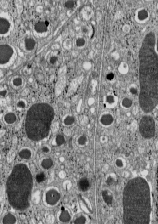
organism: C57BL Mouse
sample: Pancreatic islet